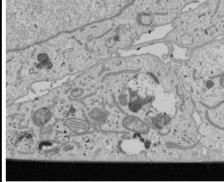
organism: Human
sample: Mitochondria in U2OS cells